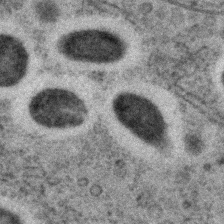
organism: C. elegans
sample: C. elegans embryo